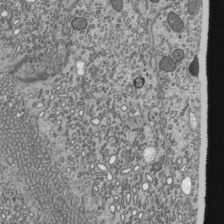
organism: Mouse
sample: Mouse epididymis efferent ductule cilia